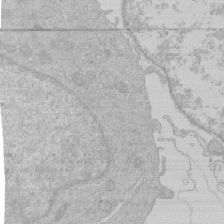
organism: Human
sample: Macrophage cells